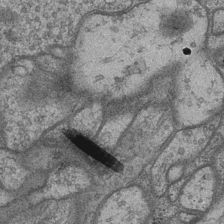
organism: Drosophila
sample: Optic medulla